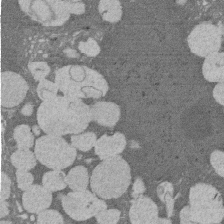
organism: Rat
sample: Salivary granule